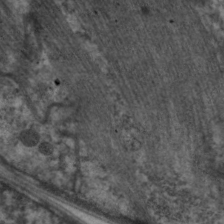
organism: C. elegans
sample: Pharynx